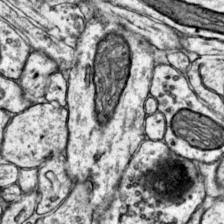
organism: Mouse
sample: Primary visual cortex